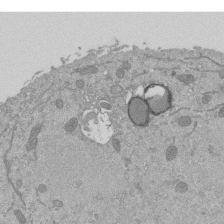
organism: Mouse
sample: ED-1 cell nuclei; centrioles